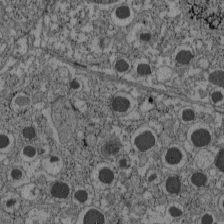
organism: C57BL Mouse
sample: Pancreatic islet